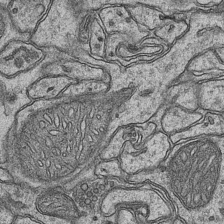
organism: Mouse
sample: CA1 Hippocampus